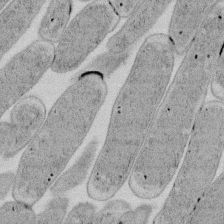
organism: E. coli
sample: Bacterial nucleoid